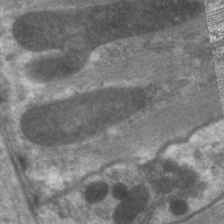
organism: C. elegans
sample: Pharynx